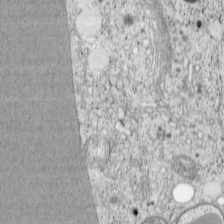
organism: African green monkey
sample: COS-7 cells